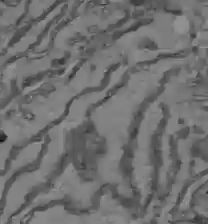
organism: C57BL Mouse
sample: Liver